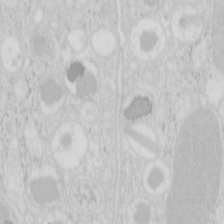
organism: Mouse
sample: Pancreas